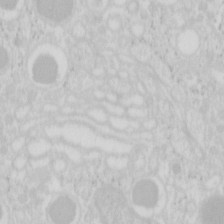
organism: Mouse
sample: Pancreas